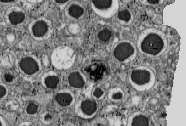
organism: C57BL Mouse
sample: Pancreatic islet